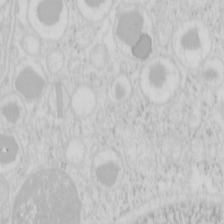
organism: Mouse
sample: Pancreas